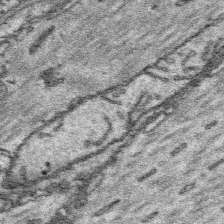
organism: Platynereis dumerilii